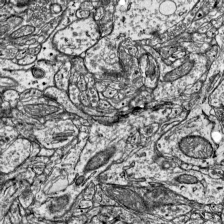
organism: Mouse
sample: Visual Cortex